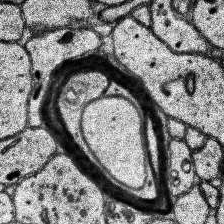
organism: Human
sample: Temporal Lobe